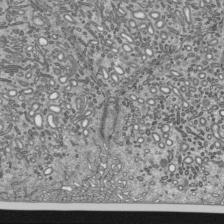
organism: Mouse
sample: Mouse epididymis efferent ductule cilia